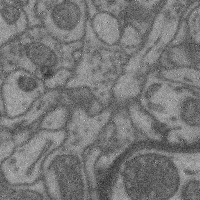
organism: Mouse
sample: Cerebral cortex